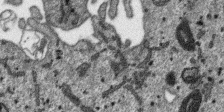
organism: Human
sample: Lung epithelial cells infected with SARS-CoV-2